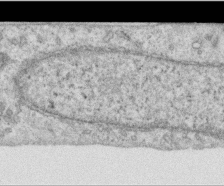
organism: Human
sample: Centriole in RPE cells